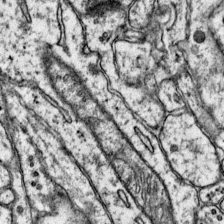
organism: Mouse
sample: Primary visual cortex